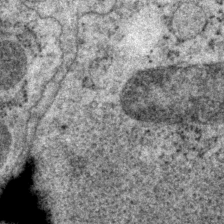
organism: P. pacificus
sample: Pharynx